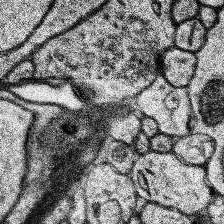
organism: Human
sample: Temporal Lobe